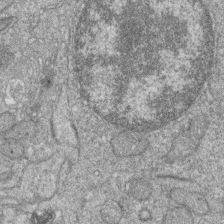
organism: Zebrafish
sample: Cilia; retinal pigment epithelium